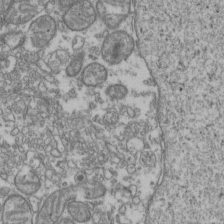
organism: Human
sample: Activated Jurkat CD4+ T cells